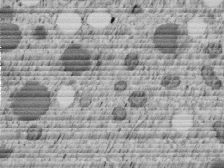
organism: C. elegans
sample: C. elegans embryo early stage